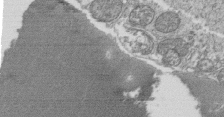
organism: Tetrahymena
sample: Cilia in tetrahymena